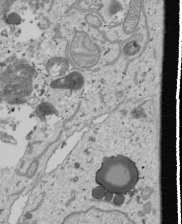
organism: Human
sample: Mitochondria in U2OS cells